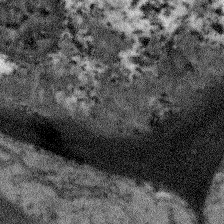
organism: Arabidopsis thaliana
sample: Root tip